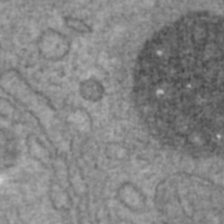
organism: Human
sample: Blood